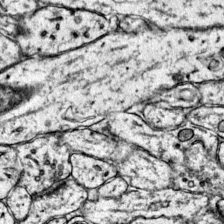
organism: Mouse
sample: Primary visual cortex